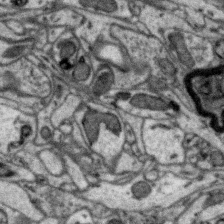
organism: Zebra finch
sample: Brain